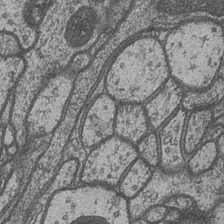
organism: Drosophila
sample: Optic medulla